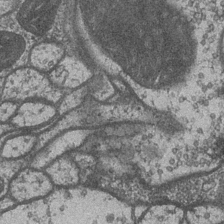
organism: Drosophila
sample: Optic medulla